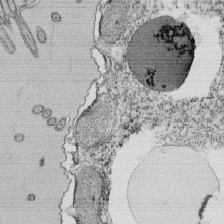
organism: Tetrahymena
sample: Cilia in tetrahymena